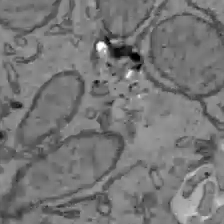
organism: C57BL Mouse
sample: Liver